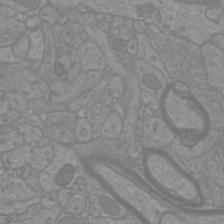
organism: Mouse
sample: Cortical neurons